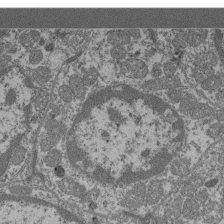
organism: Mouse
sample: Glomerulus